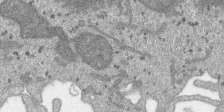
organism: Human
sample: Lung epithelial cells infected with SARS-CoV-2